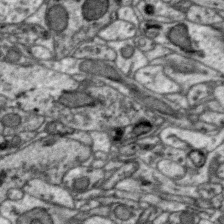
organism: Zebra finch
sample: Brain